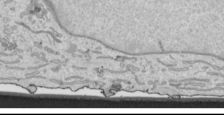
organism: Human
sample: Mitochondria in HCT116 cells